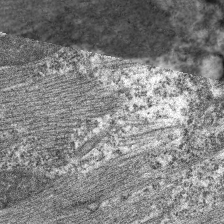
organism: C. elegans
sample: Pharynx